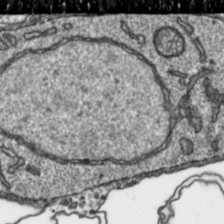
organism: Toxoplasma gondii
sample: Parasites in a vacuole inside a host cell